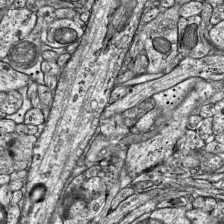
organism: Mouse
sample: Visual Cortex